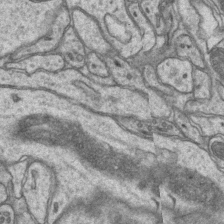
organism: Mouse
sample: CA1 Hippocampus